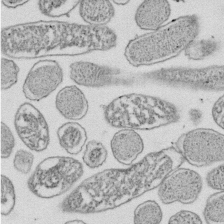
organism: E. coli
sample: Bacterial nucleoid